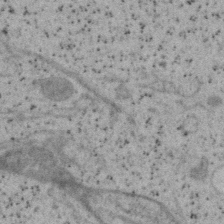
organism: Human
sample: HeLa cells